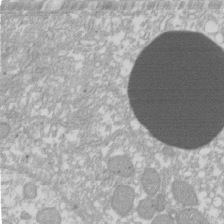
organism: Xenopus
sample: Cilia; centrioles in frog embryo cells